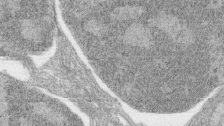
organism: Zebrafish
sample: synaptic ribbons in rod cells and cone cells